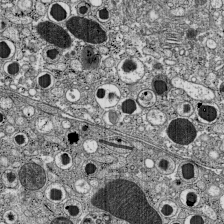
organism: C57BL Mouse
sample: Pancreatic islet